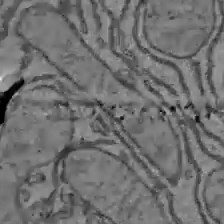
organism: C57BL Mouse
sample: Liver